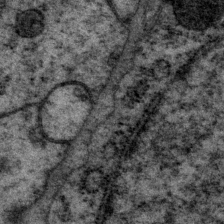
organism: P. pacificus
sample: Pharynx